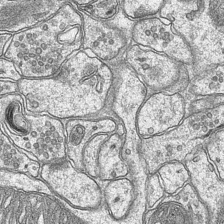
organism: Mouse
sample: CA1 Hippocampus